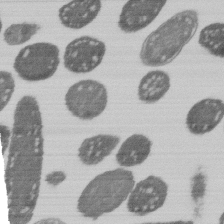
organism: E. coli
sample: Bacterial nucleoid